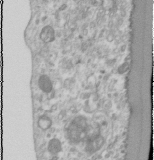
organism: Human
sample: Cilia; basal body in RPE cells